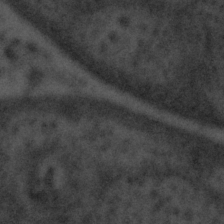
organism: Tuwongella immobilis